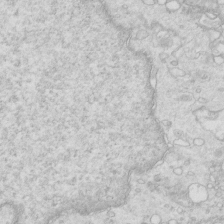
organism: Mouse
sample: Multiciliated cells